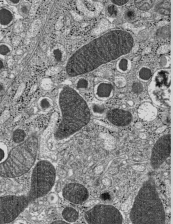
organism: C57BL Mouse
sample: Pancreatic islet